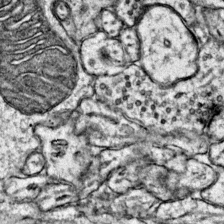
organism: Mouse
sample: Primary visual cortex